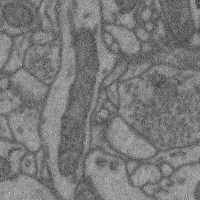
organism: Mouse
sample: Cerebral cortex